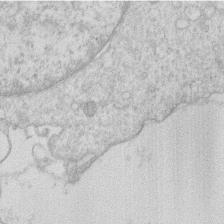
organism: Human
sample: Macrophage cells